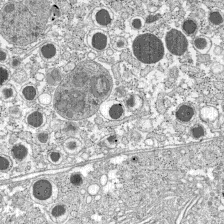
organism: C57BL Mouse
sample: Pancreatic islet